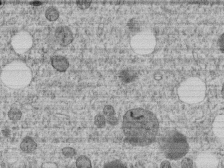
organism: C. elegans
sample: C. elegans embryo early stage